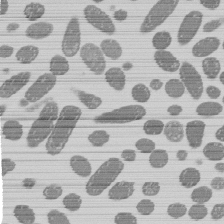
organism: E. coli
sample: Bacterial nucleoid